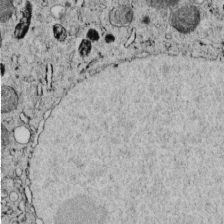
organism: C. elegans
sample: C. elegans embryo early stage